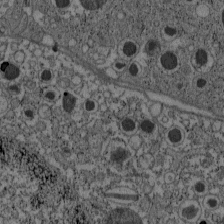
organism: C57BL Mouse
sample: Pancreatic islet